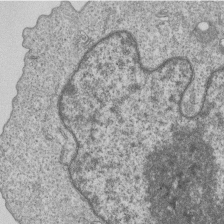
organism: Human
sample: MDA-MB-231 cells